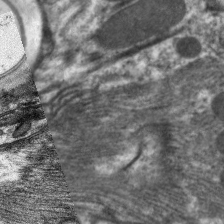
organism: C. elegans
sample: Pharynx